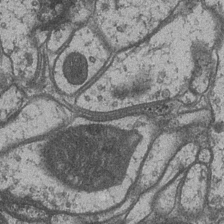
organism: Drosophila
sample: Optic medulla